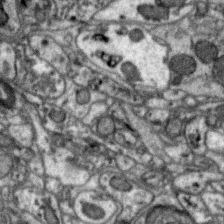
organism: Zebra finch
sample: Brain